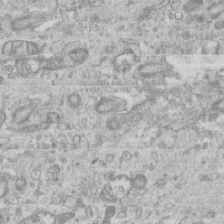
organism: Mouse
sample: Centriole in ependymal cells